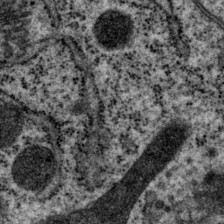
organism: P. pacificus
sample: Pharynx